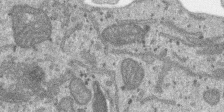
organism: Human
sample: Lung epithelial cells infected with SARS-CoV-2